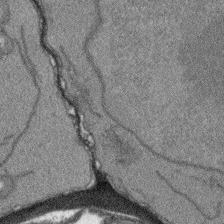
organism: Arabidopsis thaliana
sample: Root tip